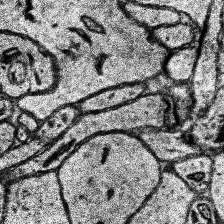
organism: Human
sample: Temporal Lobe